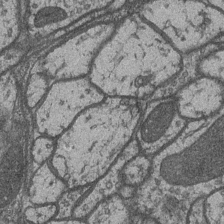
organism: Drosophila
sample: Optic medulla